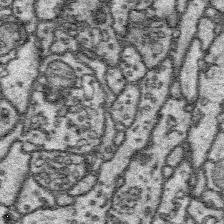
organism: Platynereis dumerilii